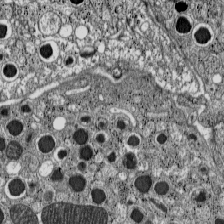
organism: C57BL Mouse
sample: Pancreatic islet